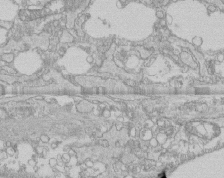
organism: Human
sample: CRL-1474